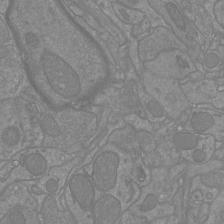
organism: Mouse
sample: Cortical neurons